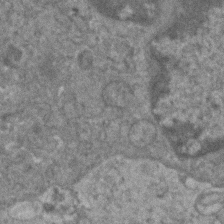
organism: Human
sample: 1205lu cells